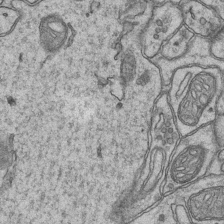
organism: Mouse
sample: CA1 Hippocampus